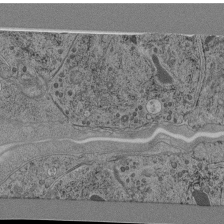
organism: C. elegans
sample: C. elegans pharynx